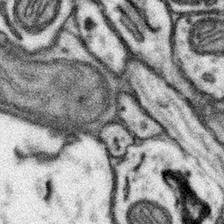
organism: Mouse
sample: Somatosensory cortex neuropil